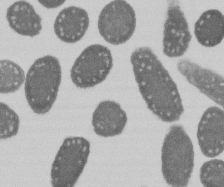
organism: E. coli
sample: Bacterial nucleoid